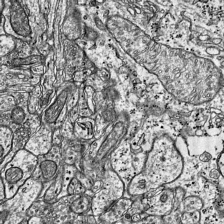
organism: Mouse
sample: Visual Cortex